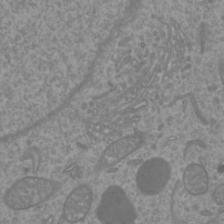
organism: Mouse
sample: Cortical neurons